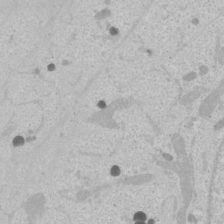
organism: Human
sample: Mitochondria in U2OS cells